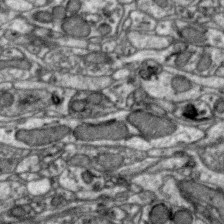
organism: Zebra finch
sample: Brain